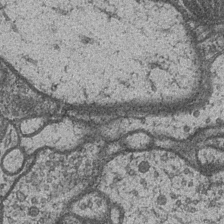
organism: Drosophila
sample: Optic medulla